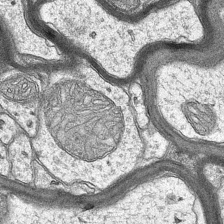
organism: Mouse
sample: CA1 Hippocampus